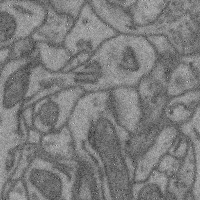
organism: Mouse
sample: Cerebral cortex